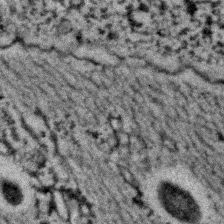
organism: C. elegans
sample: C. elegans embryo